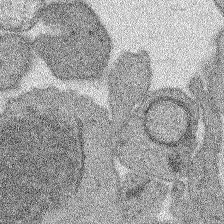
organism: Human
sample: HeLa cells